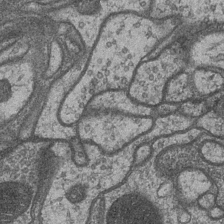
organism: Drosophila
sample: Optic medulla